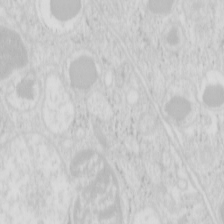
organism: Mouse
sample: Pancreas